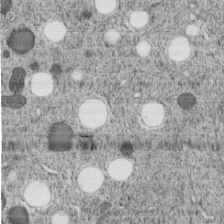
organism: C. elegans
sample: C. elegans embryo early stage